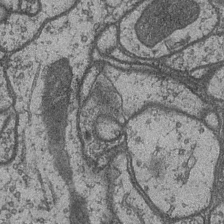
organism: Drosophila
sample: Optic medulla